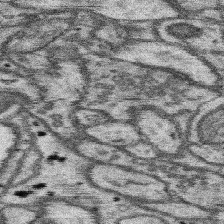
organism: Mouse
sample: Somatosensory cortex neuropil